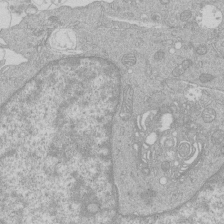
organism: Human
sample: Macrophage cells